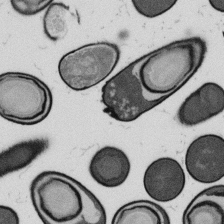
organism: B. subtilis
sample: Bacterial spore